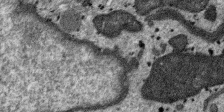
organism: Human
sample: Lung epithelial cells, uninfected (mock) control